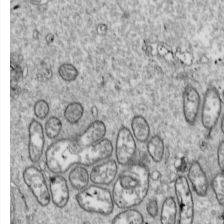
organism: Drosophila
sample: Cell division; meiosis; drosophila spermatocytes